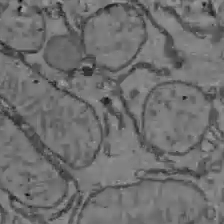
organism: C57BL Mouse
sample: Liver